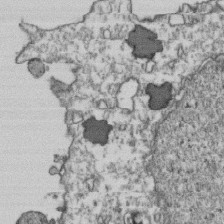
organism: Human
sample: Activated Jurkat CD4+ T cells